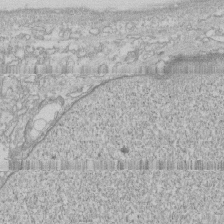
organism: Human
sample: CRL-1474